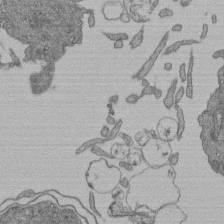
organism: Human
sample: Retinal organoid Rod and Cone cells